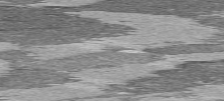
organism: C57BL Mouse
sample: Heart